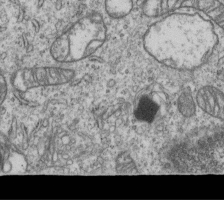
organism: Human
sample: MDA-MB-231 cells